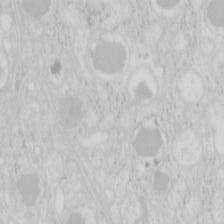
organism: Mouse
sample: Pancreas